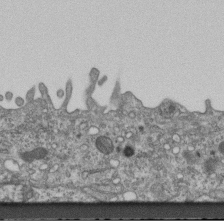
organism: Mouse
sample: Centriole in ependymal cells